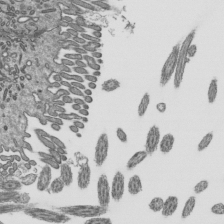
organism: Mouse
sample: Mouse epididymis efferent ductule cilia